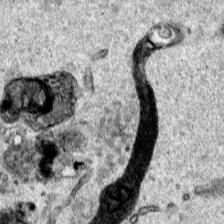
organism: Human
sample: Mitochondria in HCT116 cells